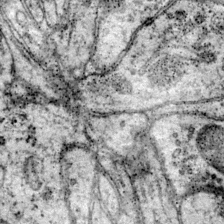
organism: Mouse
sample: Primary visual cortex